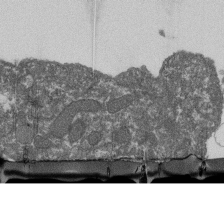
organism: Dictyostelium discoideum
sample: Dictyostelium multivesicular bodies